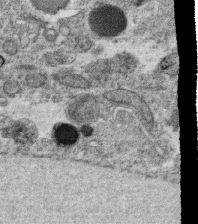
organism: C. elegans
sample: C. elegans oocyte; sperm cells